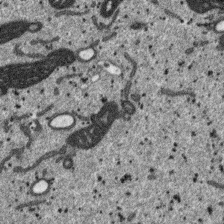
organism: Human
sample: Lung epithelial cells infected with SARS-CoV-2